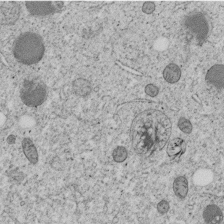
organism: C. elegans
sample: C. elegans embryo early stage